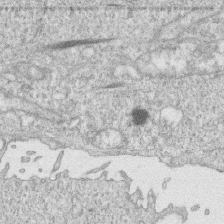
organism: Human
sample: HeLa cell HIV synapse